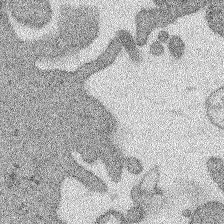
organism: Human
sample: HeLa cells